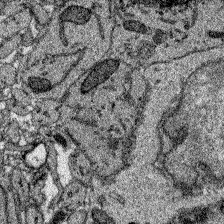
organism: Zebrafish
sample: Larval olfactory bulb